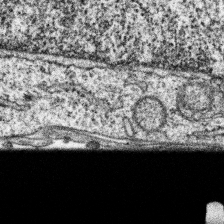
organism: Human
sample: HeLa cells